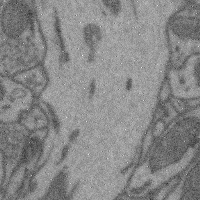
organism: Mouse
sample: Cerebral cortex